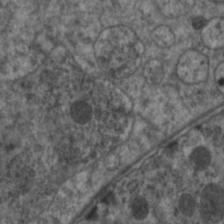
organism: C. elegans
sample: Pharynx